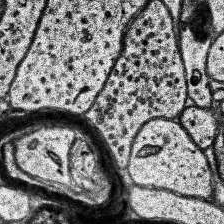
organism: Human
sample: Temporal Lobe